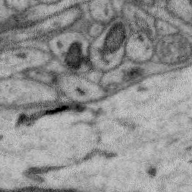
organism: Zebra finch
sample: Brain